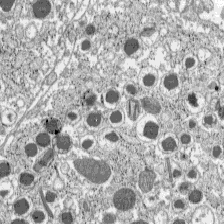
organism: C57BL Mouse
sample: Pancreatic islet